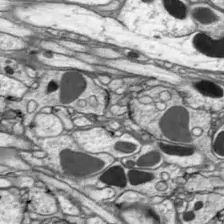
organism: Drosophila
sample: Optic lobe